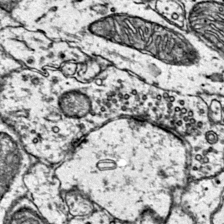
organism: Mouse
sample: Primary visual cortex